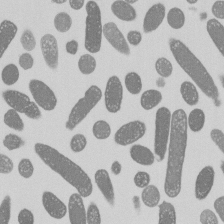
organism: E. coli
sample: Bacterial nucleoid